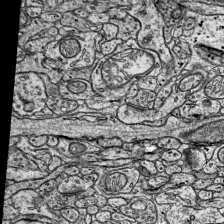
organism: Mouse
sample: Visual Cortex